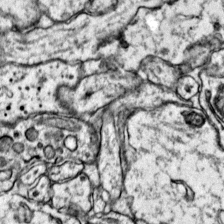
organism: Mouse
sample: Primary visual cortex